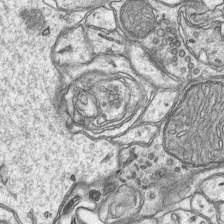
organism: Mouse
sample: CA1 Hippocampus